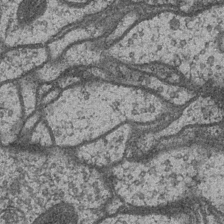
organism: Drosophila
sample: Optic medulla